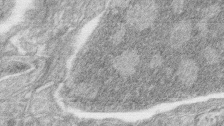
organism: Zebrafish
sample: synaptic ribbons in rod cells and cone cells